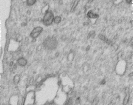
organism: Human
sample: Centriole in RPE cells